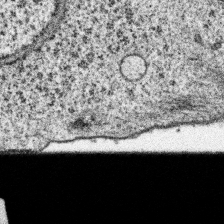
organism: Human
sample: HeLa cells